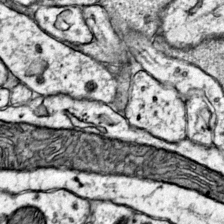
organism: Mouse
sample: Primary visual cortex